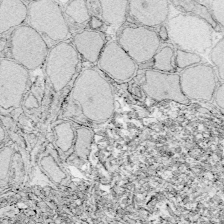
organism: Zebrafish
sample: Whole-Brain